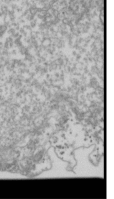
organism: Drosophila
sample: Cell division; meiosis; drosophila spermatocytes